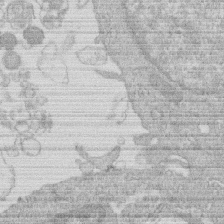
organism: Human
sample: Macrophage cells